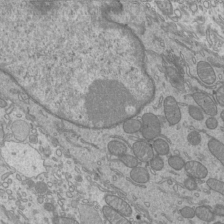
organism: Mouse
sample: Cilia; mouse epididymis